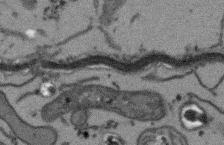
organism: Arabidopsis thaliana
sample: Root tip